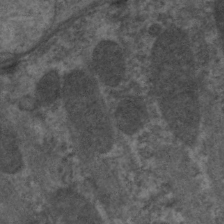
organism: C. elegans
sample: Pharynx